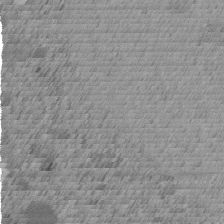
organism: C. elegans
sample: C. elegans embryo early stage